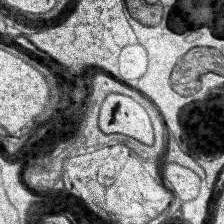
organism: Human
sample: Temporal Lobe